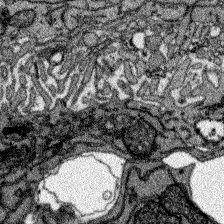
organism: Zebrafish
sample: Larval olfactory bulb